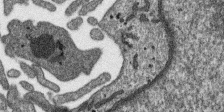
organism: Human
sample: Lung epithelial cells infected with SARS-CoV-2